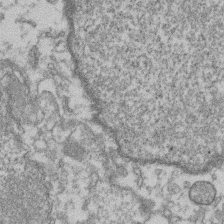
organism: Mouse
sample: T cell stromal cell synapse